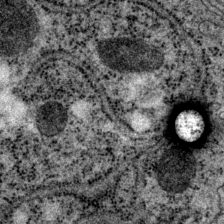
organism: P. pacificus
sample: Pharynx